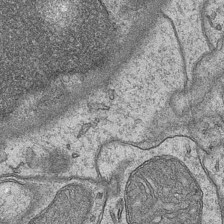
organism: Mouse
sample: CA1 Hippocampus